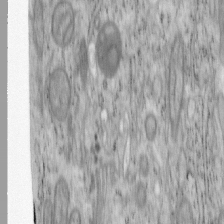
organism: Human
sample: HeLa cells